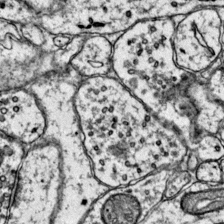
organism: Mouse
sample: Primary visual cortex